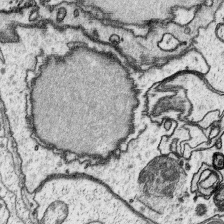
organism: Platynereis dumerilii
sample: Parapodia